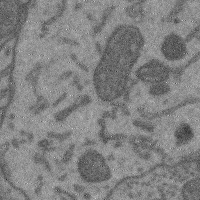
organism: Mouse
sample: Cerebral cortex